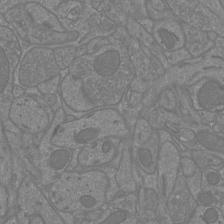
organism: Mouse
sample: Cortical neurons